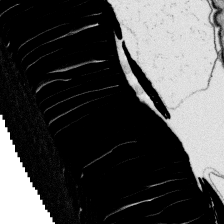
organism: Platynereis dumerilii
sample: Parapodia